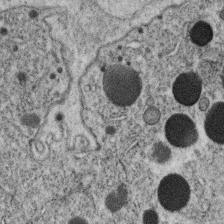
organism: C. elegans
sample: C. elegans oocyte; sperm cells